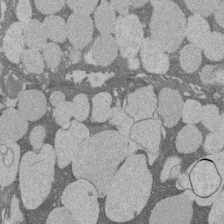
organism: Rat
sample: Salivary granule